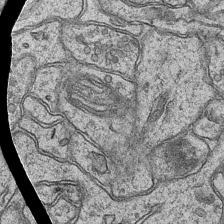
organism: Mouse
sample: CA1 Hippocampus